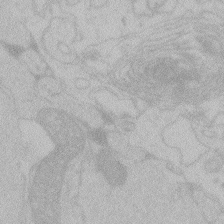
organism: Zebrafish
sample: Macrophage infected with Toxoplasma gondii